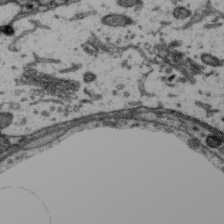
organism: Zebra finch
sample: Brain